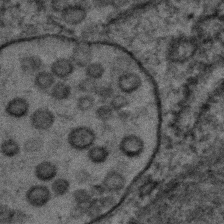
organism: C. elegans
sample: C. elegans embryo